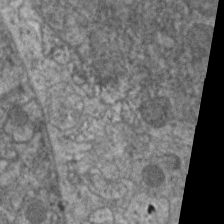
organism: C. elegans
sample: Pharynx